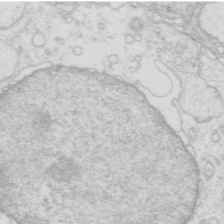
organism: Mouse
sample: Multiciliated cells